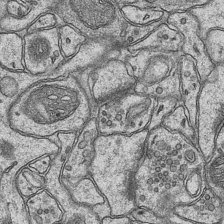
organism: Mouse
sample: CA1 Hippocampus